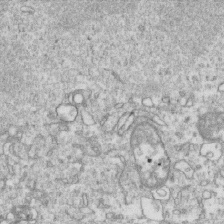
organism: Mouse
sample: Activated OT-1 CD8+ T cells